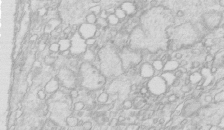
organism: Mouse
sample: Multiciliated cells